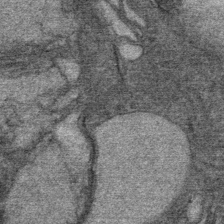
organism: Mouse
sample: Mouse Salivary gland